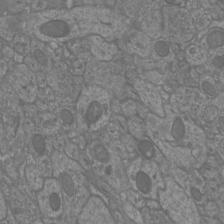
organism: Mouse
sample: Cortical neurons